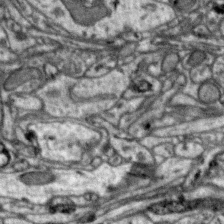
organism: Zebra finch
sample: Brain